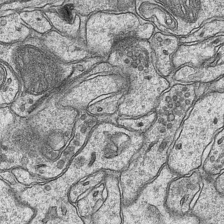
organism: Mouse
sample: CA1 Hippocampus